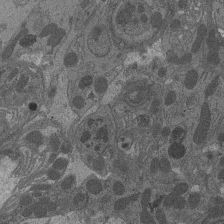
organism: Drosophila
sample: Antenna